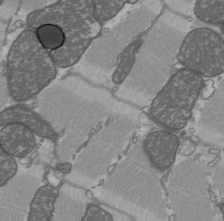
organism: C57BL Mouse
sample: Heart